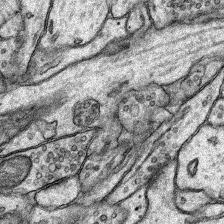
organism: Rat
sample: Hippocampus